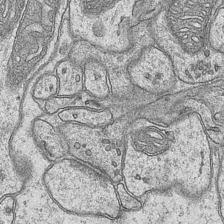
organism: Mouse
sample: CA1 Hippocampus